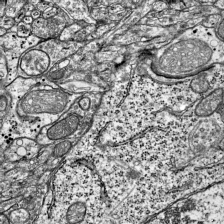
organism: Mouse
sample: Visual Cortex